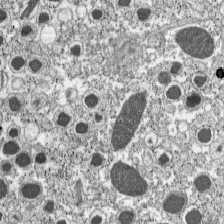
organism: C57BL Mouse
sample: Pancreatic islet